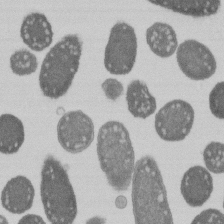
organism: E. coli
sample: Bacterial nucleoid